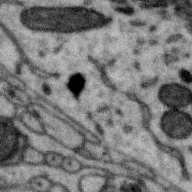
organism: Zebra finch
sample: Brain